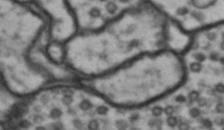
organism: Drosophila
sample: Brain